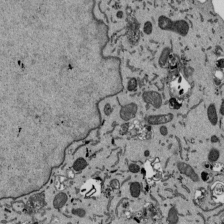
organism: Mouse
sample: ED-1 cell nuclei; centrioles